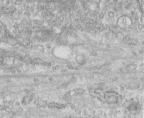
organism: Human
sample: Centriole in fibroblast cells